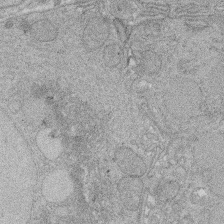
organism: Rat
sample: Salivary granule